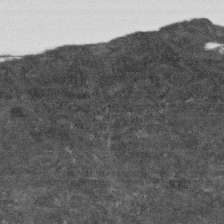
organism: Human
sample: Fibroblast cells